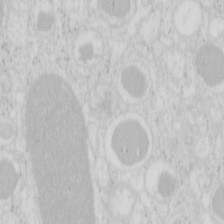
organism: Mouse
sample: Pancreas